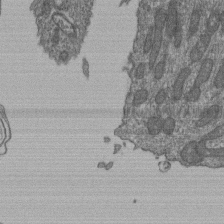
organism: Human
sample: Retinal organoid Rod and Cone cells